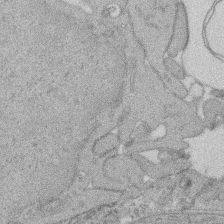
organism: Rat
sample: Salivary granule